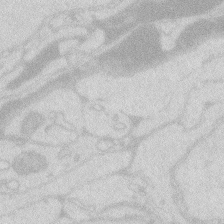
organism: Zebrafish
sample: Macrophage